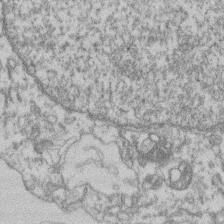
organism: Mouse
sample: T cell stromal cell synapse